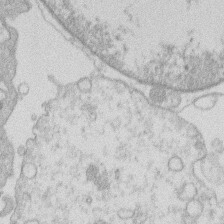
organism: Human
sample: Macrophage cells